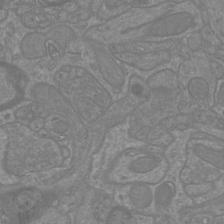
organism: Mouse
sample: Cortical neurons